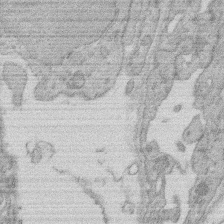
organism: Rat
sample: Salivary granule